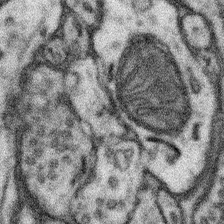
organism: Mouse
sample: Somatosensory cortex neuropil